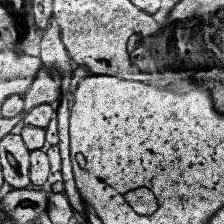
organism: Human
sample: Temporal Lobe